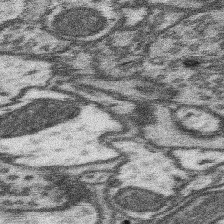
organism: Mouse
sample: Somatosensory cortex neuropil